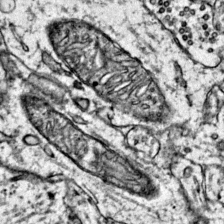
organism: Mouse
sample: Primary visual cortex